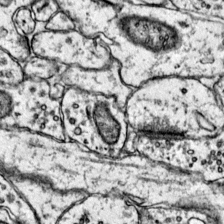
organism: Mouse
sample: Primary visual cortex